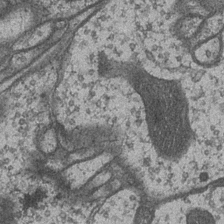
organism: Drosophila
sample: Optic medulla